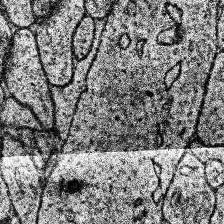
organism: Human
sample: Temporal Lobe